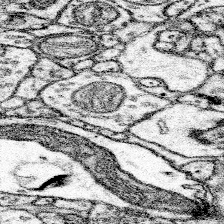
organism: Mouse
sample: Somatosensory cortex neuropil